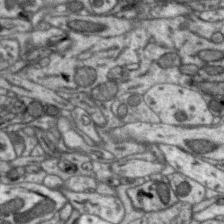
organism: Zebra finch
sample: Brain